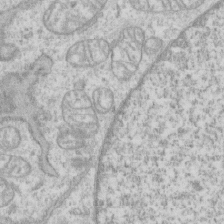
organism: Human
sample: CRL-1474